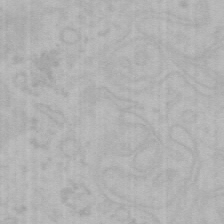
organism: Mouse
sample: Choroid plexus